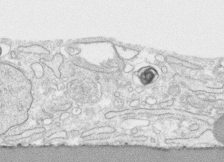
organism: Human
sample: CRL-1474